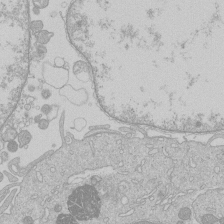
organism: Human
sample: Macrophage cells